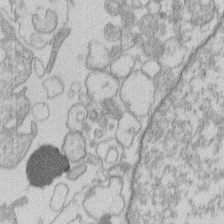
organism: Human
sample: Macrophage cells